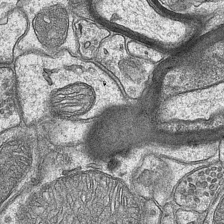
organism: Mouse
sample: CA1 Hippocampus